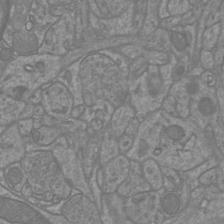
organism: Mouse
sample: Cortical neurons